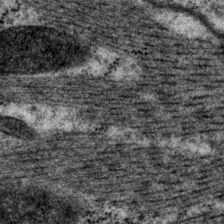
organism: P. pacificus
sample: Pharynx